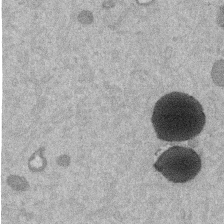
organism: Mouse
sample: Dividing mouse embryo 1 cell stage